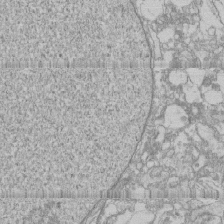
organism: Human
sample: CRL-1474